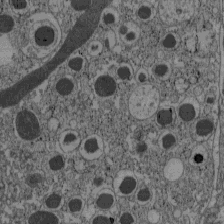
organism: C57BL Mouse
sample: Pancreatic islet